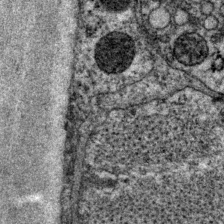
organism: P. pacificus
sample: Pharynx